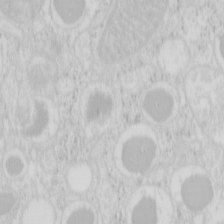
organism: Mouse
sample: Pancreas